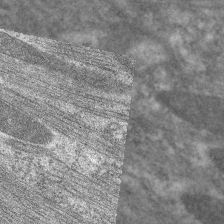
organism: C. elegans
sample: Pharynx